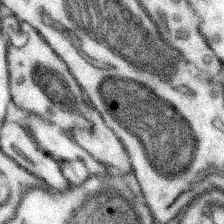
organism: Mouse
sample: Somatosensory cortex neuropil